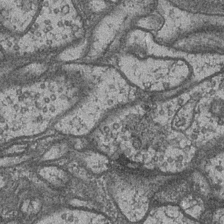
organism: Drosophila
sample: Optic medulla